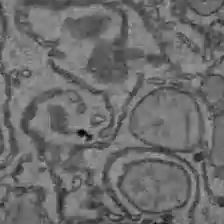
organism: C57BL Mouse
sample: Liver